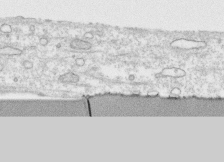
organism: Human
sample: CRL-1474